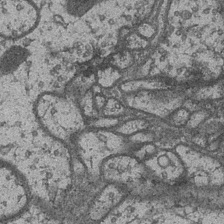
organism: Drosophila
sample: Optic medulla